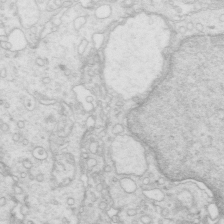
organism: Mouse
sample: Multiciliated cells